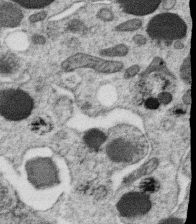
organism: C. elegans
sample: C. elegans oocyte; sperm cells